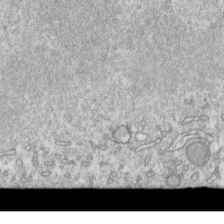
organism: Mouse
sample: Activated OT-1 CD8+ T cells